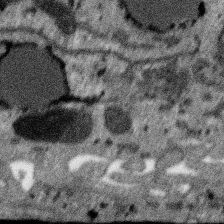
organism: Human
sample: Lung epithelial cells infected with SARS-CoV-2